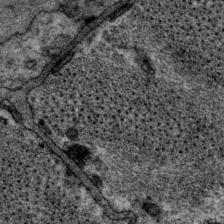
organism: P. pacificus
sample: Pharynx